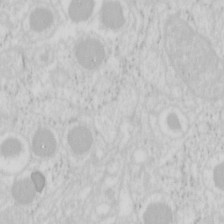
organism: Mouse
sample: Pancreas